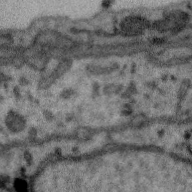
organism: Zebra finch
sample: Brain